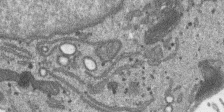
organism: Human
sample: Lung epithelial cells infected with SARS-CoV-2